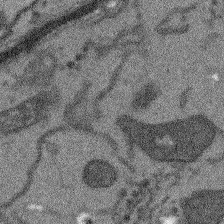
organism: Arabidopsis thaliana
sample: Root tip